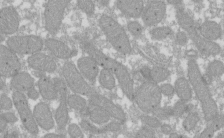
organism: Xenopus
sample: Cilia; centrioles in frog embryo cells